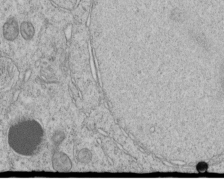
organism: C. elegans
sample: C. elegans embryo early stage